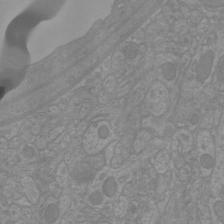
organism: Mouse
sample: Cortical neurons